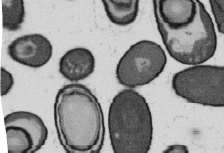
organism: B. subtilis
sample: Bacterial spore